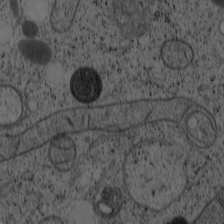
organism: African green monkey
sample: COS-7 cells